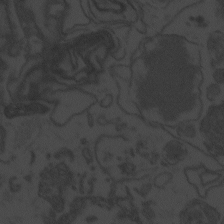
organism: Zebrafish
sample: Macrophage infected with Toxoplasma gondii